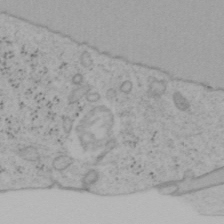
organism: Human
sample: HeLa cells